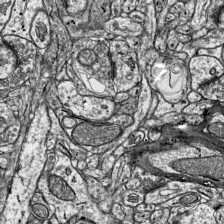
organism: Mouse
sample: Visual Cortex